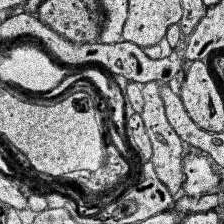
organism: Human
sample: Temporal Lobe